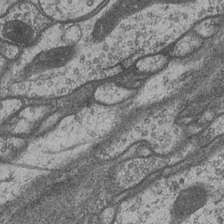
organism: Drosophila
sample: Optic medulla